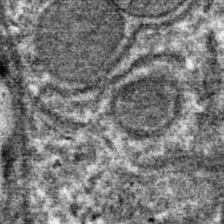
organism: Mouse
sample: Mouse hepatocytes